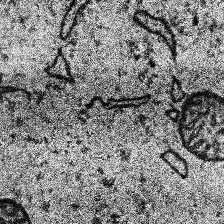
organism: Human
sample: Temporal Lobe